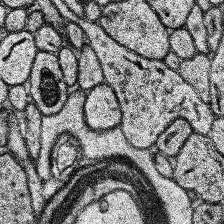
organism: Human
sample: Temporal Lobe